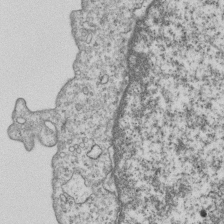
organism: Human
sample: MDA-MB-231 cells